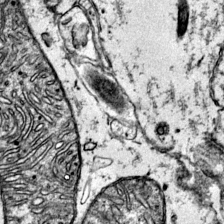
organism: Mouse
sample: Primary visual cortex